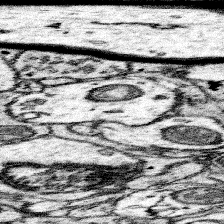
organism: Mouse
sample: Somatosensory cortex neuropil